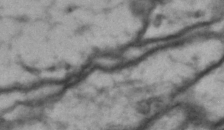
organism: Drosophila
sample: Brain